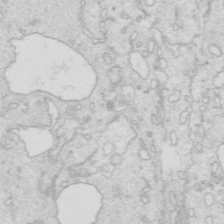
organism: Mouse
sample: Multiciliated cells